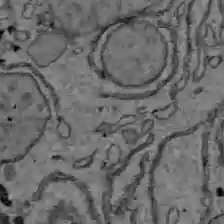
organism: C57BL Mouse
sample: Liver